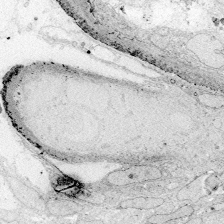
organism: Zebrafish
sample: Whole-Brain